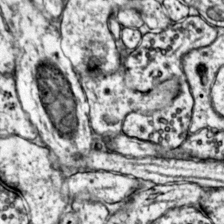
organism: Mouse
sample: Primary visual cortex